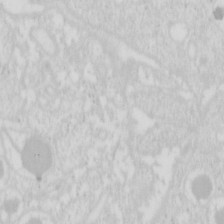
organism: Mouse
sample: Pancreas